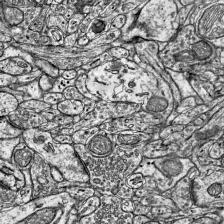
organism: Mouse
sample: Visual Cortex